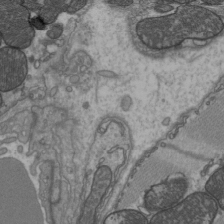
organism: C57BL Mouse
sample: Heart